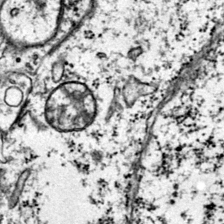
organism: Mouse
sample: Primary visual cortex